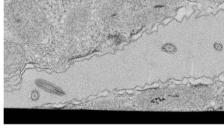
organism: Tetrahymena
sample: Cilia in tetrahymena